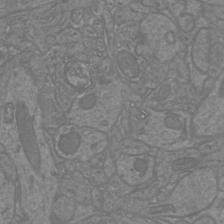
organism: Mouse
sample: Cortical neurons